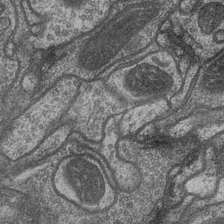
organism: Drosophila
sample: Optic medulla